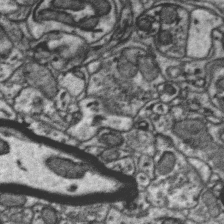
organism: Zebra finch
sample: Brain